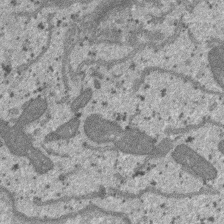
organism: Human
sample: Lung epithelial cells infected with SARS-CoV-2